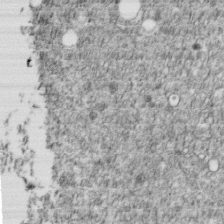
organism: C. elegans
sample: C. elegans embryo early stage